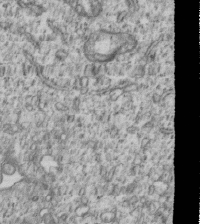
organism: Human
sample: MDA-MB-231 cells